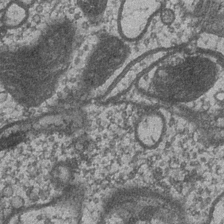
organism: Drosophila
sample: Optic medulla